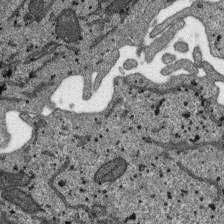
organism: Human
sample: Lung epithelial cells infected with SARS-CoV-2